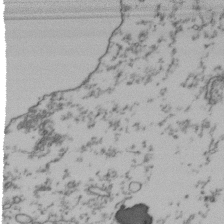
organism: Human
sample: Activated Jurkat CD4+ T cells